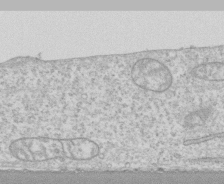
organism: Human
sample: CRL-1474